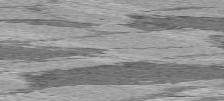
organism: C57BL Mouse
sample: Heart